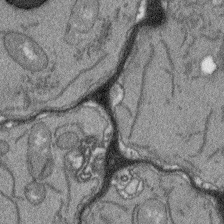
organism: Arabidopsis thaliana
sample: Root tip